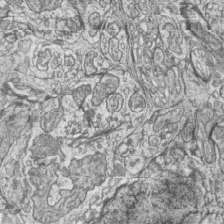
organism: Zebrafish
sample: synaptic ribbons in rod cells and cone cells